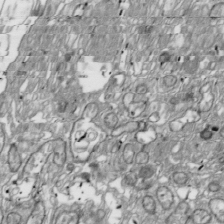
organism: Drosophila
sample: Cell division; meiosis; drosophila spermatocytes